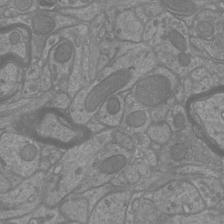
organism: Mouse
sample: Cortical neurons